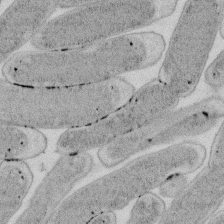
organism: E. coli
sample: Bacterial nucleoid